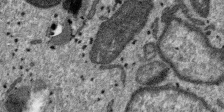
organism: Human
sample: Lung epithelial cells, uninfected (mock) control